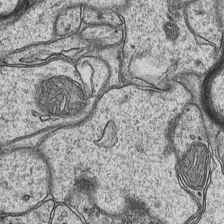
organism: Mouse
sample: CA1 Hippocampus